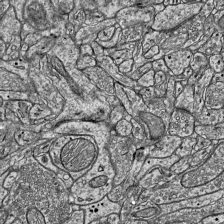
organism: Mouse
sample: Visual Cortex